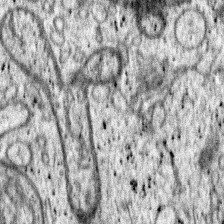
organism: Human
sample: HeLa cells